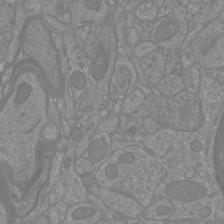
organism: Mouse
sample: Cortical neurons